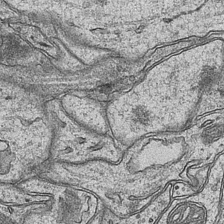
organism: Mouse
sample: CA1 Hippocampus